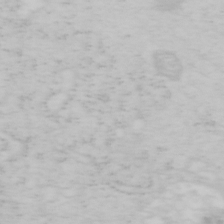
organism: Mouse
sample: OT-I killer T cells with ID8 ovarian cancer cells